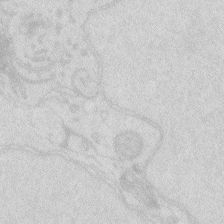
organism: Zebrafish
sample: Macrophage